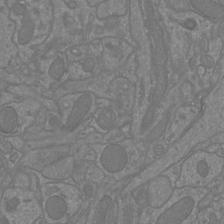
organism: Mouse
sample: Cortical neurons